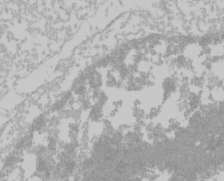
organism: Mouse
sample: Cancer cell death in ED-1 cells